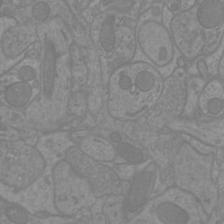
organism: Mouse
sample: Cortical neurons